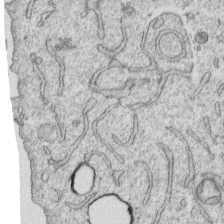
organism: Human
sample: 1205lu cells